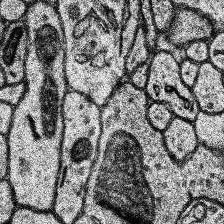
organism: Human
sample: Temporal Lobe